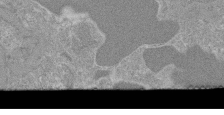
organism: Mouse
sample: Glomerulus